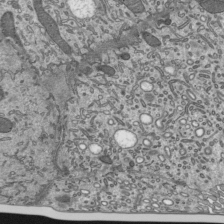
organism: Mouse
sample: Mouse epididymis efferent ductule cilia